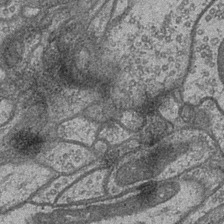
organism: Drosophila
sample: Optic medulla